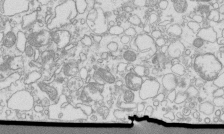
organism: Mouse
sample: Macrophages